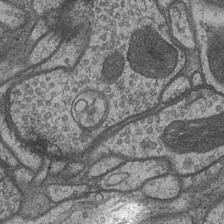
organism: Drosophila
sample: Optic medulla